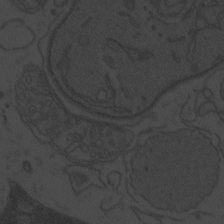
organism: Zebrafish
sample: Macrophage infected with Toxoplasma gondii